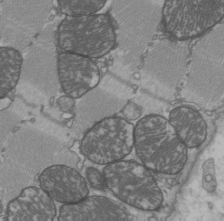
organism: C57BL Mouse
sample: Heart